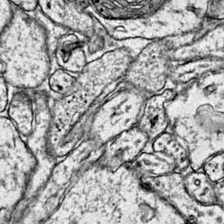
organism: Mouse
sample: Primary visual cortex